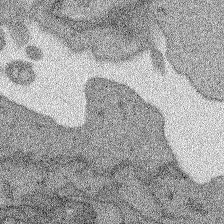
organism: Human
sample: HeLa cells